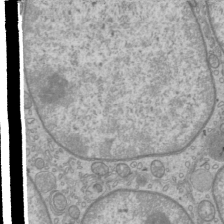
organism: Mouse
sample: Cilia; mouse epididymis